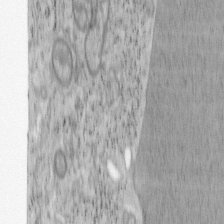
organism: Human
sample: HeLa cells